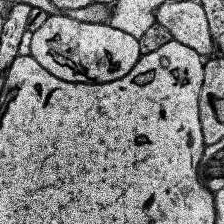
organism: Human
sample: Temporal Lobe